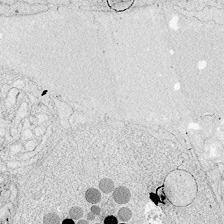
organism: Zebrafish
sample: Whole-Brain